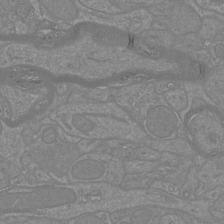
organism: Mouse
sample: Cortical neurons